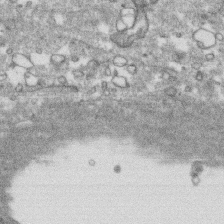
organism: Human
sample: CRL-1474